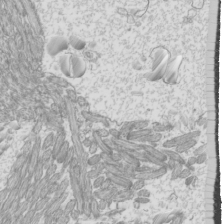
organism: Mouse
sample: Cilia; mouse epididymis